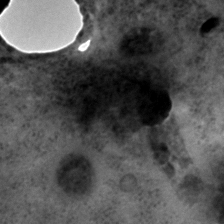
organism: C. elegans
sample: C. elegans embryo